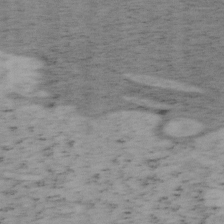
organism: Mouse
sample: OT-I killer T cells with ID8 ovarian cancer cells